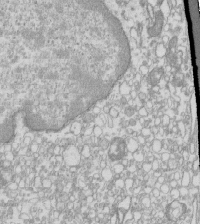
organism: Mouse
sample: Macrophages